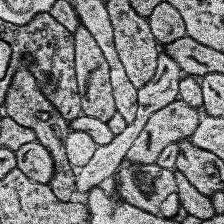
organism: Human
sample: Temporal Lobe